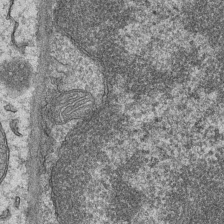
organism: Mouse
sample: CA1 Hippocampus